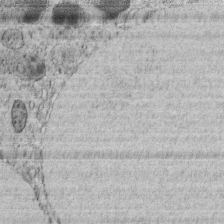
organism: C. elegans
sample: C. elegans embryo early stage